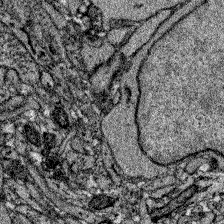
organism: Zebrafish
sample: Larval olfactory bulb